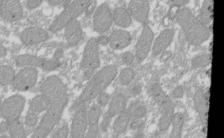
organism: Xenopus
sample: Cilia; centrioles in frog embryo cells